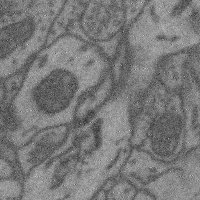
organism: Mouse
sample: Cerebral cortex